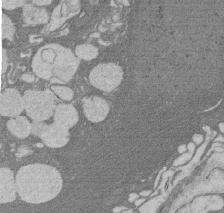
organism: Rat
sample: Salivary granule